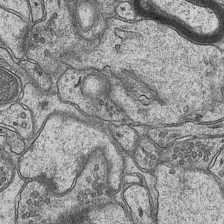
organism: Mouse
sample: CA1 Hippocampus